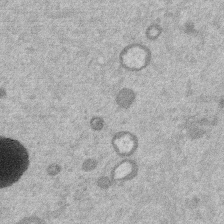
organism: Mouse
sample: Dividing mouse embryo 1 cell stage